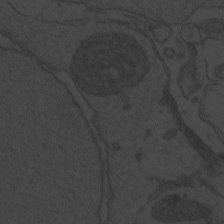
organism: Zebrafish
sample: Macrophage infected with Toxoplasma gondii